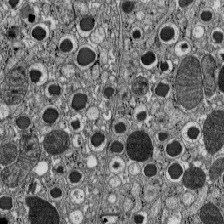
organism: C57BL Mouse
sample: Pancreatic islet